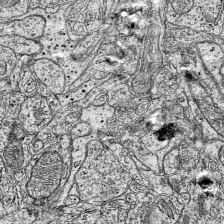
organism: Mouse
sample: Visual Cortex